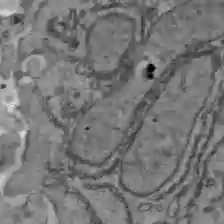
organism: C57BL Mouse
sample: Liver